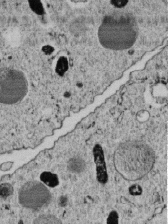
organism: C. elegans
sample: C. elegans embryo early stage